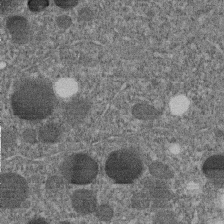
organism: C. elegans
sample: C. elegans embryo early stage